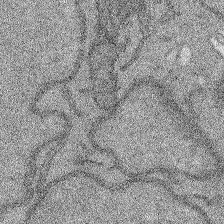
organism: Human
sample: HeLa cells